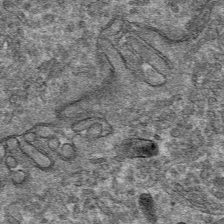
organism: Mouse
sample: Mouse hepatocytes